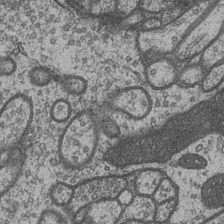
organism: Drosophila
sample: Optic medulla